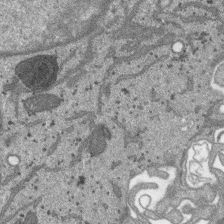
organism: Human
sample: Lung epithelial cells infected with SARS-CoV-2